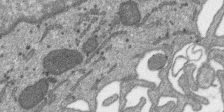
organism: Human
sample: Lung epithelial cells infected with SARS-CoV-2